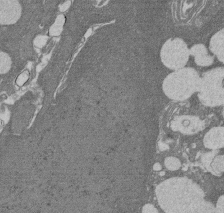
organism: Rat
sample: Salivary granule